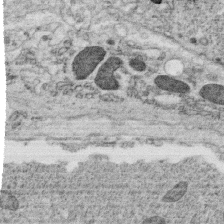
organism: C. elegans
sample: C. elegans oocyte; sperm cells